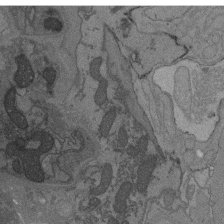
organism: C. elegans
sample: AFD neurons C. elegans